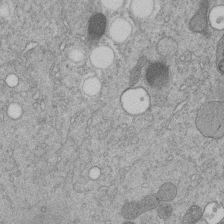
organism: C. elegans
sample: C. elegans embryo early stage